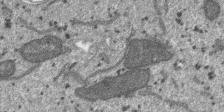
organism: Human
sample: Lung epithelial cells infected with SARS-CoV-2